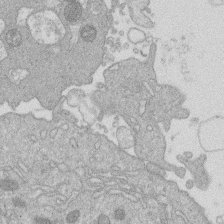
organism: Human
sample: Macrophage cells